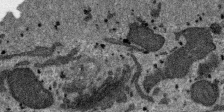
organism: Human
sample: Lung epithelial cells, uninfected (mock) control